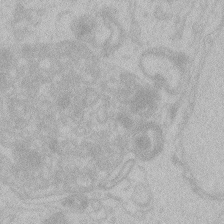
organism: Zebrafish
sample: Macrophage infected with Toxoplasma gondii